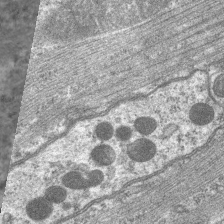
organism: C. elegans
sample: Pharynx